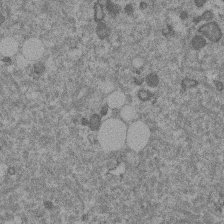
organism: Mouse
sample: Dividing mouse embryo 1 cell stage